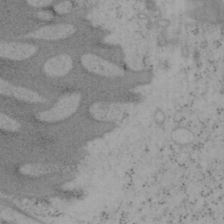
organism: Mouse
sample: OT-I killer T cells with ID8 ovarian cancer cells